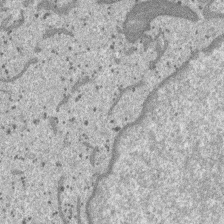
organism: Human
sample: Lung epithelial cells infected with SARS-CoV-2